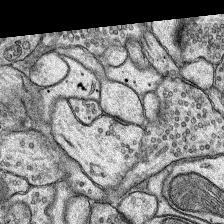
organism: Rat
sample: Hippocampus